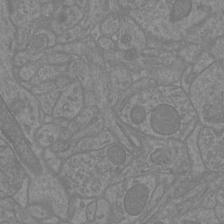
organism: Mouse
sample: Cortical neurons